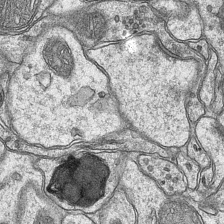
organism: Mouse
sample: CA1 Hippocampus